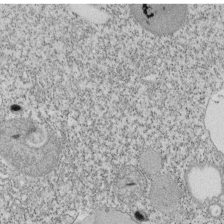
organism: Tetrahymena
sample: Cilia in tetrahymena